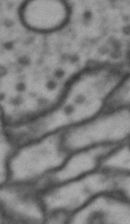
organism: Drosophila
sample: Brain